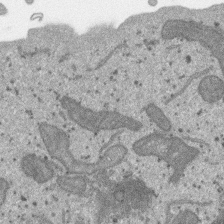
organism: Human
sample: Lung epithelial cells infected with SARS-CoV-2